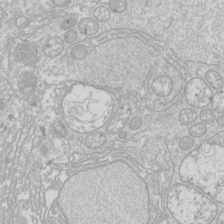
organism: Drosophila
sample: Cell division; meiosis; drosophila spermatocytes